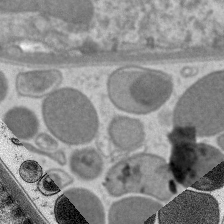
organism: C. elegans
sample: Pharynx